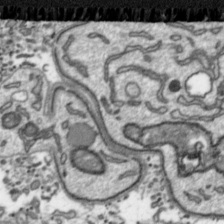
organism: Toxoplasma gondii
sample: Parasites in a vacuole inside a host cell